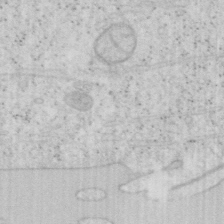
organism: Human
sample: HeLa cells